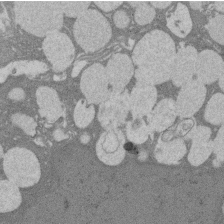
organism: Rat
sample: Salivary granule